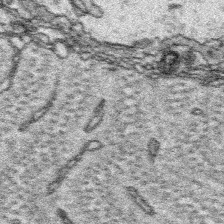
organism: Platynereis dumerilii